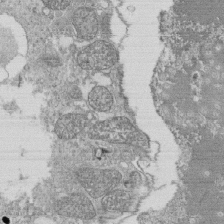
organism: Tetrahymena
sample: Cilia in tetrahymena